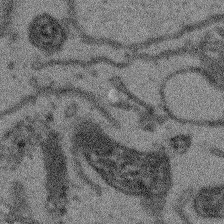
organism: Arabidopsis thaliana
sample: Root tip